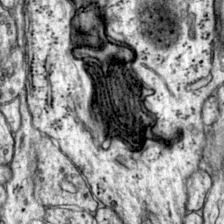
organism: Mouse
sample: Primary visual cortex